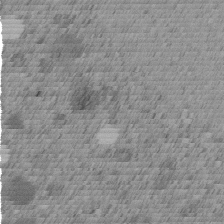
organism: C. elegans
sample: C. elegans embryo early stage